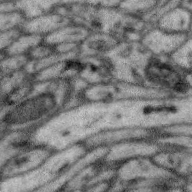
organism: Zebra finch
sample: Brain